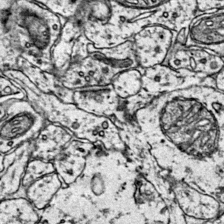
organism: Mouse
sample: Primary visual cortex